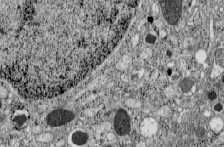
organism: C57BL Mouse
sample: Pancreatic islet